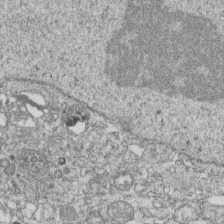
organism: Human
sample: HeLa cell HIV synapse